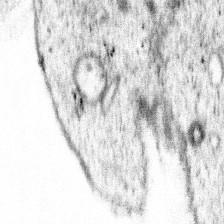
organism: Human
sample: HeLa cells